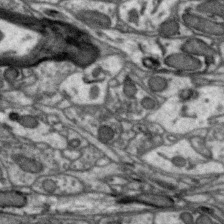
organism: Zebra finch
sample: Brain